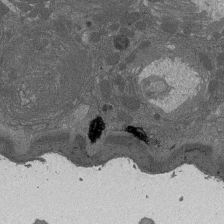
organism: Drosophila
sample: Antenna